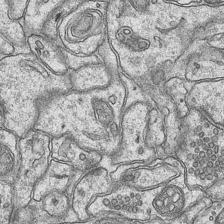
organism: Mouse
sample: CA1 Hippocampus